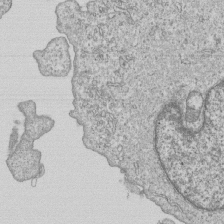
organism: Human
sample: MDA-MB-231 cells